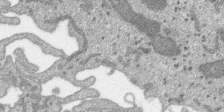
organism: Human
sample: Lung epithelial cells infected with SARS-CoV-2